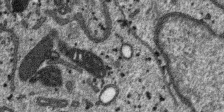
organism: Human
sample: Lung epithelial cells infected with SARS-CoV-2